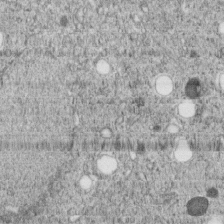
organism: C. elegans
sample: C. elegans embryo early stage